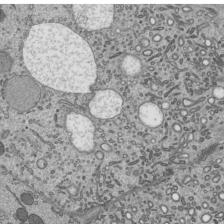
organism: Mouse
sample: Mouse epididymis efferent ductule cilia